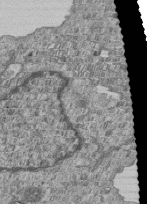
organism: Human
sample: MDA-MB-231 cells